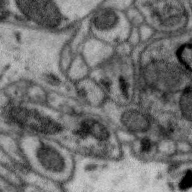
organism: Zebra finch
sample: Brain